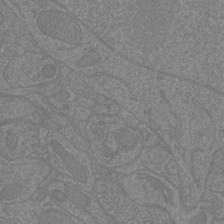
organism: Mouse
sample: Cortical neurons